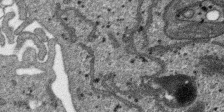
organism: Human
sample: Lung epithelial cells infected with SARS-CoV-2